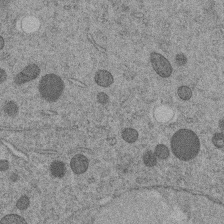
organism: C. elegans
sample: C. elegans embryo early stage